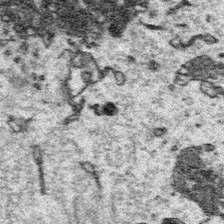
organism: Platynereis dumerilii